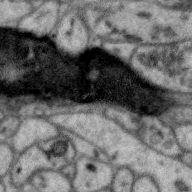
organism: Zebra finch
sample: Brain